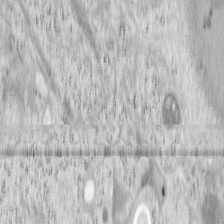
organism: Human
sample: HeLa cells